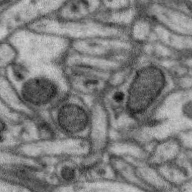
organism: Zebra finch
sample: Brain